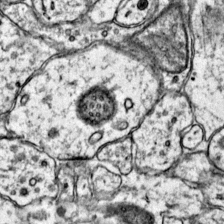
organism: Mouse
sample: Primary visual cortex